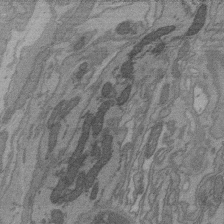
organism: C. elegans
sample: AFD neurons C. elegans